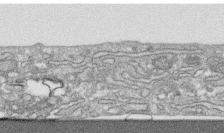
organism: Human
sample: CRL-1474